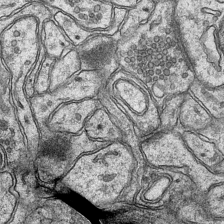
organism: Mouse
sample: CA1 Hippocampus